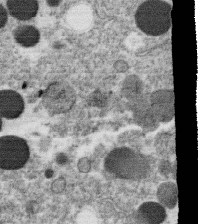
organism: C. elegans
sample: C. elegans oocyte; sperm cells